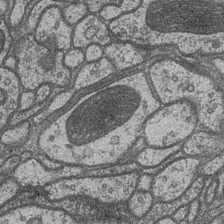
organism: Drosophila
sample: Optic medulla